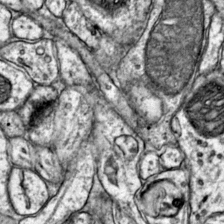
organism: Mouse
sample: Primary visual cortex